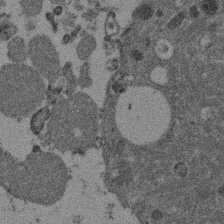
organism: Mouse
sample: Dividing mouse embryo 1 cell stage